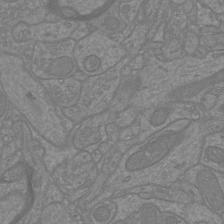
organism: Mouse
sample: Cortical neurons